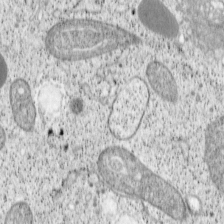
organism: African green monkey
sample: COS-7 cells